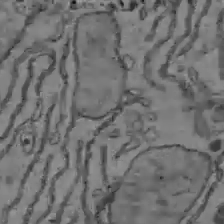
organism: C57BL Mouse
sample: Liver